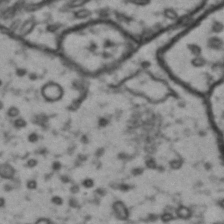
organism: Drosophila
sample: Brain